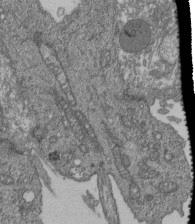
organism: Human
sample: Retinal organoid Rod and Cone cells